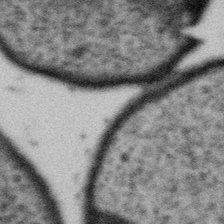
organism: Gemmata obscuriglobus